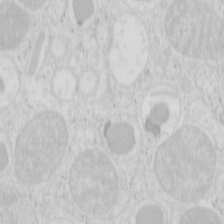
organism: Mouse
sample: Pancreas